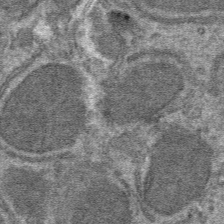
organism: Mouse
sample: Mouse hepatocytes